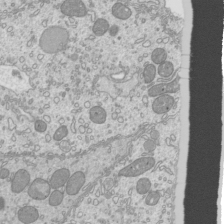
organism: Mouse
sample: Cilia; mouse epididymis